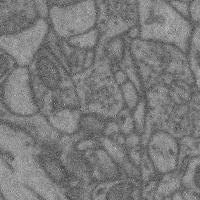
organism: Mouse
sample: Cerebral cortex